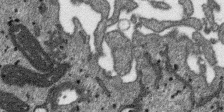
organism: Human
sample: Lung epithelial cells infected with SARS-CoV-2